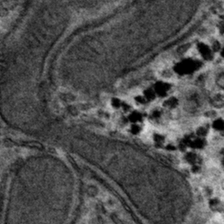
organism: Mouse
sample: Mouse hepatocytes